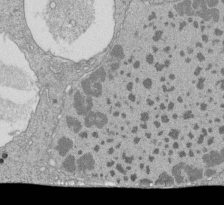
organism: Tetrahymena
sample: Cilia in tetrahymena